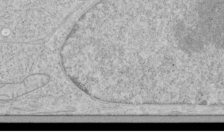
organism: Human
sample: Mitochondria in HCT116 cells